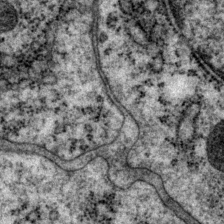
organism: P. pacificus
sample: Pharynx